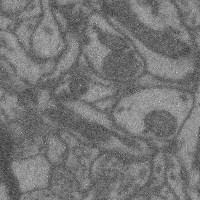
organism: Mouse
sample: Cerebral cortex